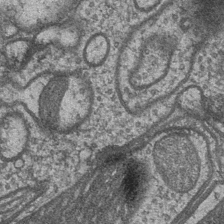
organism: Drosophila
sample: Optic medulla